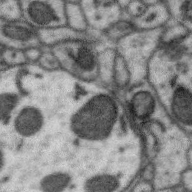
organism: Zebra finch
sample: Brain